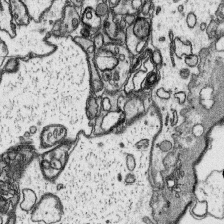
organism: Platynereis dumerilii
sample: Parapodia